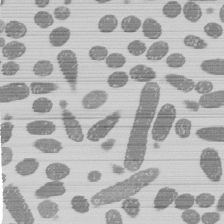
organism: E. coli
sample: Bacterial nucleoid